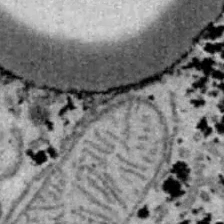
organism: Mouse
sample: Liver from an obese (ob/ob) mouse